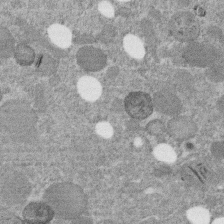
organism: C. elegans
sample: C. elegans embryo early stage